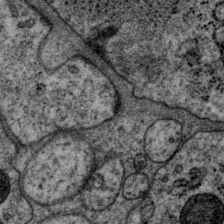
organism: P. pacificus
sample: Pharynx